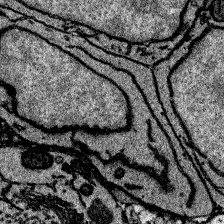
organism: Zebrafish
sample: Larval olfactory bulb